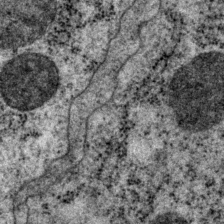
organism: P. pacificus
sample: Pharynx